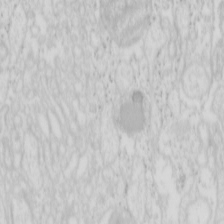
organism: Mouse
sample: Pancreas